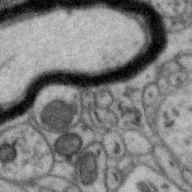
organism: Zebra finch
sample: Brain